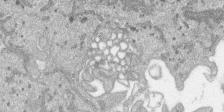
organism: Human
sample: Lung epithelial cells infected with SARS-CoV-2